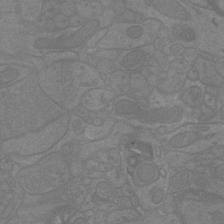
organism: Mouse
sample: Cortical neurons